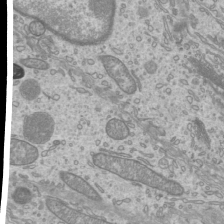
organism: Mouse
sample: Cilia; mouse epididymis